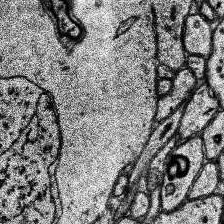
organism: Human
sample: Temporal Lobe